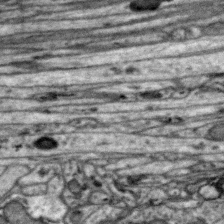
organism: Zebra finch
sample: Brain